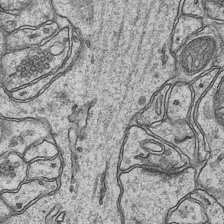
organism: Mouse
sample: CA1 Hippocampus